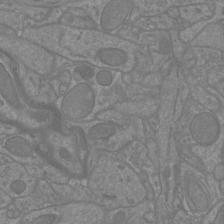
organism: Mouse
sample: Cortical neurons